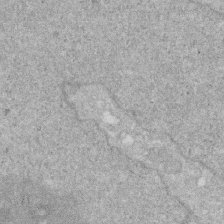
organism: Human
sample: HIV infected U937 cells